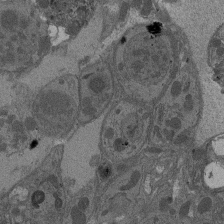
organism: Drosophila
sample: Antenna